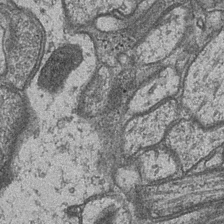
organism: Drosophila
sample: Optic medulla